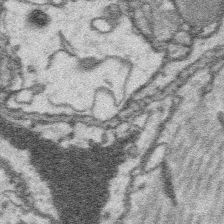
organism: Platynereis dumerilii